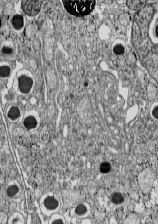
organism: C57BL Mouse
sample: Pancreatic islet